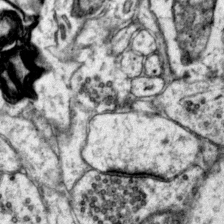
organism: Mouse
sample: Primary visual cortex